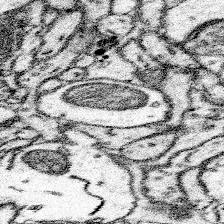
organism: Mouse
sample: Somatosensory cortex neuropil